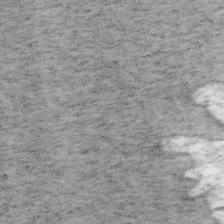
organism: Mouse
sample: OT-I killer T cells with ID8 ovarian cancer cells